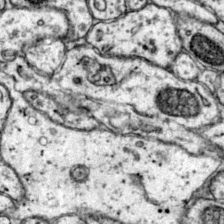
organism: Mouse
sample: Primary visual cortex